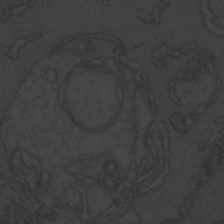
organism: Zebrafish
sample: Macrophage infected with Toxoplasma gondii